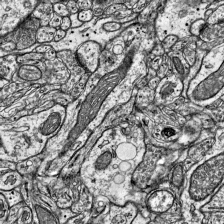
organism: Mouse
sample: Visual Cortex